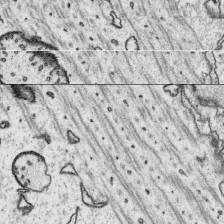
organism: Platynereis dumerilii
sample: Parapodia